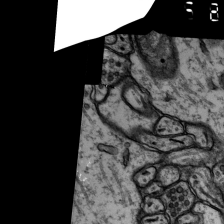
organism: Rat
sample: Hippocampus